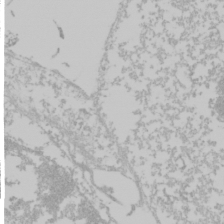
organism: Mouse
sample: Cancer cell death in ED-1 cells